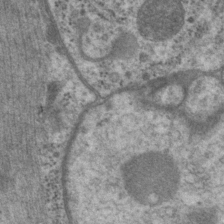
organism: P. pacificus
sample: Pharynx